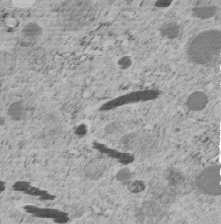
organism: C. elegans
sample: C. elegans embryo early stage